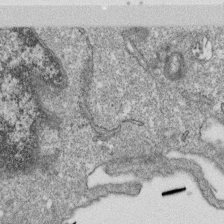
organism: African green monkey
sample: Vero E6 cells infected with SARS-CoV-2